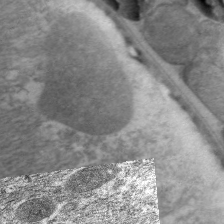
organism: C. elegans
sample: Pharynx